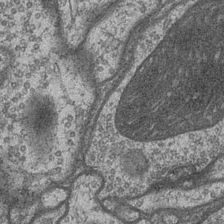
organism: Drosophila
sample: Optic medulla